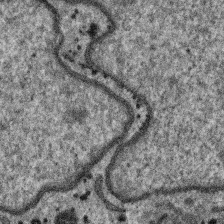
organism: Human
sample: Lung epithelial cells infected with SARS-CoV-2